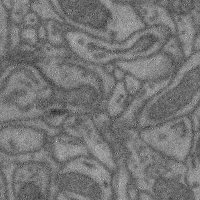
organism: Mouse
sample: Cerebral cortex